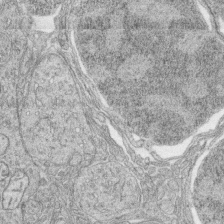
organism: Zebrafish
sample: synaptic ribbons in rod cells and cone cells